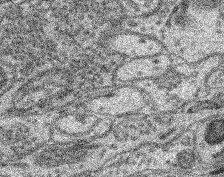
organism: Mouse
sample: Retina